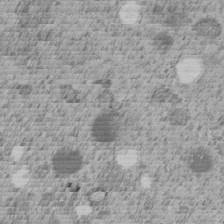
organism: C. elegans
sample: C. elegans embryo early stage